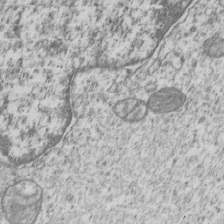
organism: Human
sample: MDA-MB-231 cells